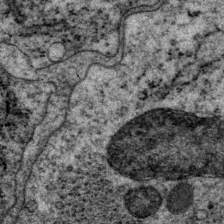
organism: P. pacificus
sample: Pharynx